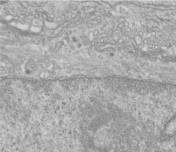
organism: Human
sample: Centriole in fibroblast cells